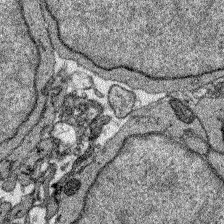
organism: Zebrafish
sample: Larval olfactory bulb